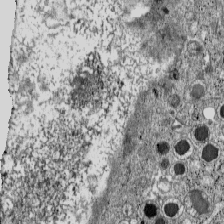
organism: C57BL Mouse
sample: Pancreatic islet